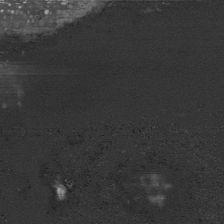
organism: Human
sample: Mitochondria in HCT116 cells